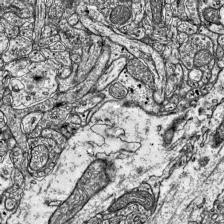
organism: Mouse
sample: Visual Cortex